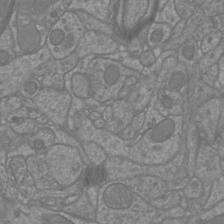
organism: Mouse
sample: Cortical neurons